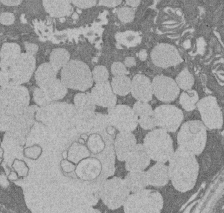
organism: Rat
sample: Salivary granule